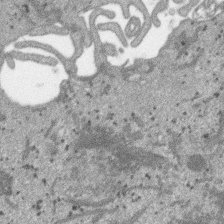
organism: Human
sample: Lung epithelial cells infected with SARS-CoV-2